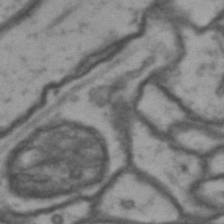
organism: Drosophila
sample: Brain